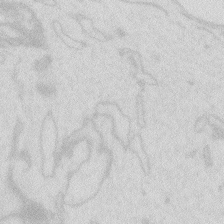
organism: Zebrafish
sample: Macrophage